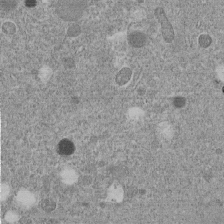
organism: C. elegans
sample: C. elegans embryo early stage